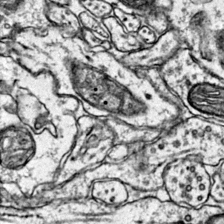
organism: Mouse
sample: Primary visual cortex